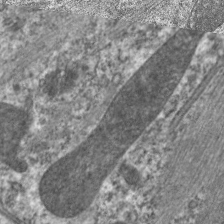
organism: C. elegans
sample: Pharynx